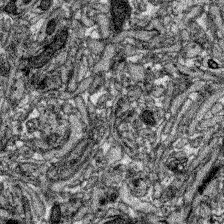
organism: Zebrafish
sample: Larval olfactory bulb